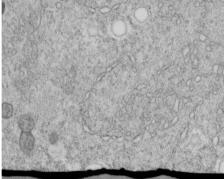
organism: C. elegans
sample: C. elegans embryo early stage